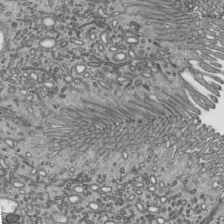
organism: Mouse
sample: Mouse epididymis efferent ductule cilia